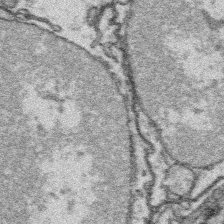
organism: Platynereis dumerilii